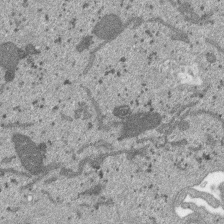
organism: Human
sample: Lung epithelial cells infected with SARS-CoV-2